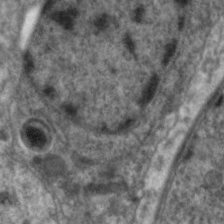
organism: C. elegans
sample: Pharynx